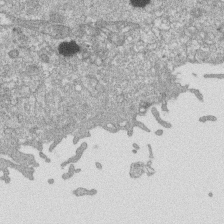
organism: Human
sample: HeLa cell HIV synapse